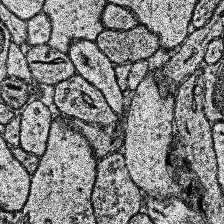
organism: Human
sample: Temporal Lobe